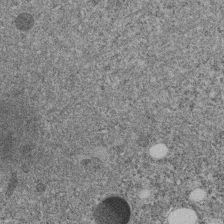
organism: C. elegans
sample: C. elegans embryo early stage